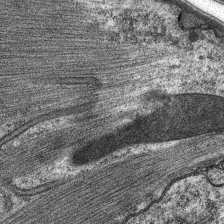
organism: C. elegans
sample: Pharynx